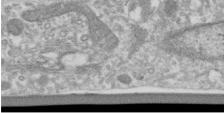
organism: Human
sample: Centriole in RPE cells